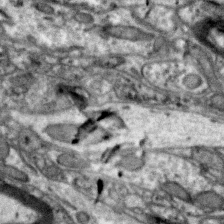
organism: Zebra finch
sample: Brain